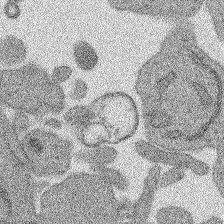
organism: Human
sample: HeLa cells